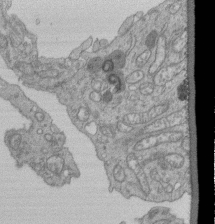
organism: Human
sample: Retinal organoid Rod and Cone cells